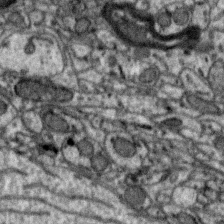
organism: Zebra finch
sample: Brain